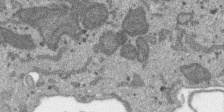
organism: Human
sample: Lung epithelial cells infected with SARS-CoV-2